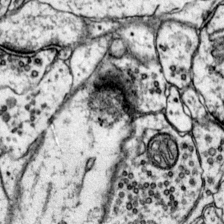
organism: Mouse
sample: Primary visual cortex